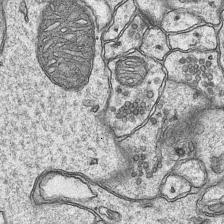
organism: Mouse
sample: CA1 Hippocampus